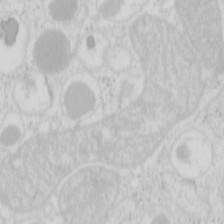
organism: Mouse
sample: Pancreas